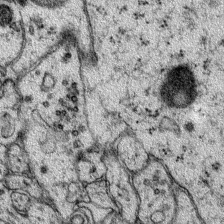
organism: Mouse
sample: Primary visual cortex